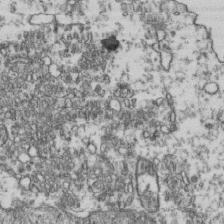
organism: Human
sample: Activated Jurkat CD4+ T cells